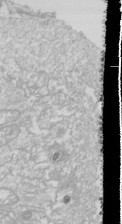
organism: Drosophila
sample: Cell division; meiosis; drosophila spermatocytes